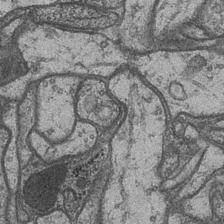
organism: Drosophila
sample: Optic medulla